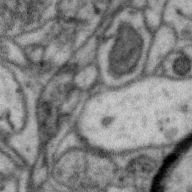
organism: Zebra finch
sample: Brain